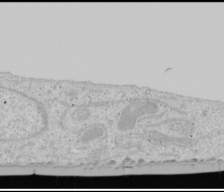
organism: Human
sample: Mitochondria in U2OS cells